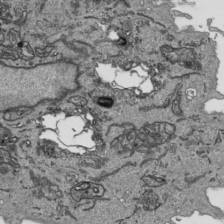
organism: Human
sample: Mitochondria in HCT116 cells